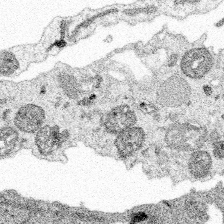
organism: Spongilla lacustris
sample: Multiple